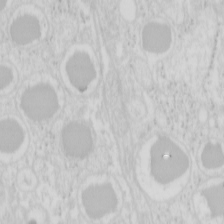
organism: Mouse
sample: Pancreas